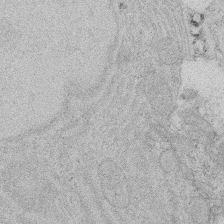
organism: Rat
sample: Salivary granule